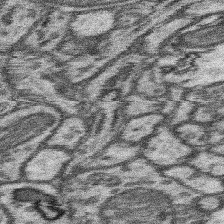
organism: Mouse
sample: Somatosensory cortex neuropil